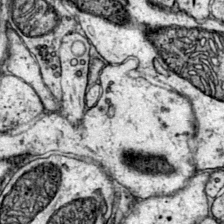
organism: Mouse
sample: Primary visual cortex